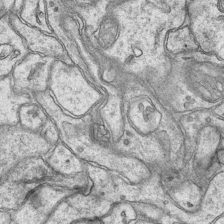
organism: Mouse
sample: CA1 Hippocampus